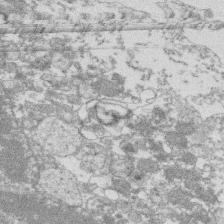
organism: Human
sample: HeLa cell HIV synapse